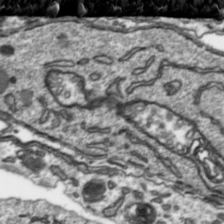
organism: Toxoplasma gondii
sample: Parasites in a vacuole inside a host cell